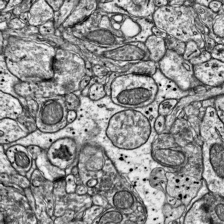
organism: Mouse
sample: Visual Cortex